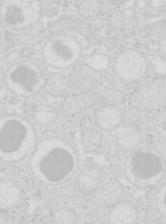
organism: Mouse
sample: Pancreas